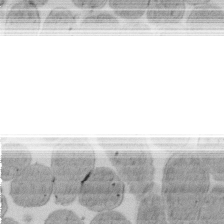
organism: E. coli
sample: Bacterial nucleoid